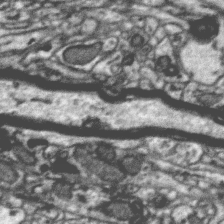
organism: Zebra finch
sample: Brain